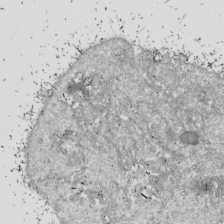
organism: Drosophila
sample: Cell division; meiosis; drosophila spermatocytes